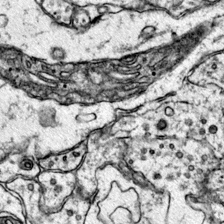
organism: Mouse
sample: Primary visual cortex